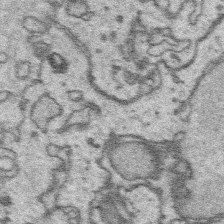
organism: Platynereis dumerilii